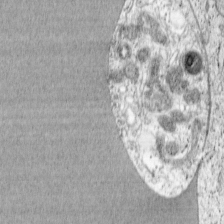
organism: African green monkey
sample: COS-7 cells